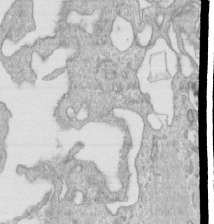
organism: Human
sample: Centriole in RPE cells